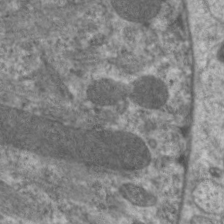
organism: C. elegans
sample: Pharynx